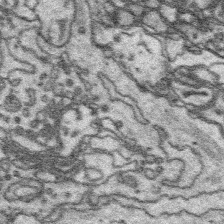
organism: Platynereis dumerilii